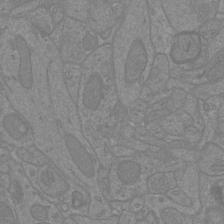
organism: Mouse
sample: Cortical neurons